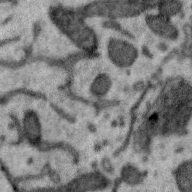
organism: Zebra finch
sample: Brain